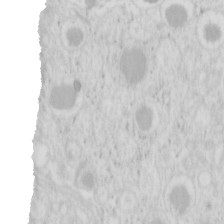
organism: Mouse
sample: Pancreas